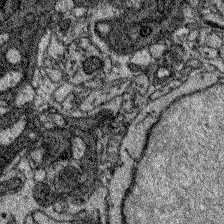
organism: Zebrafish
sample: Larval olfactory bulb